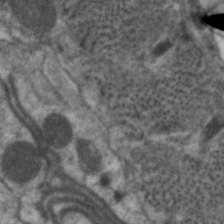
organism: C. elegans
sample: Pharynx